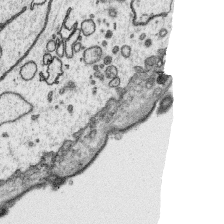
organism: Platynereis dumerilii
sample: Parapodia